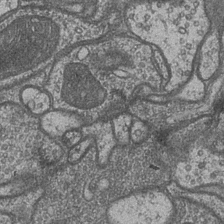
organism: Drosophila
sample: Optic medulla